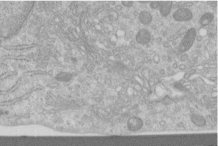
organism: Human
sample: Centriole in RPE cells